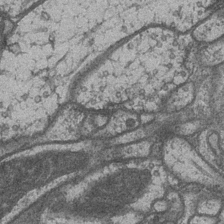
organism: Drosophila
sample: Optic medulla